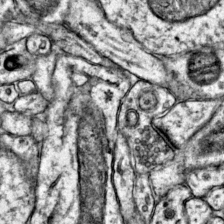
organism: Mouse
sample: Primary visual cortex